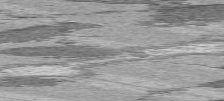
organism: C57BL Mouse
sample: Heart